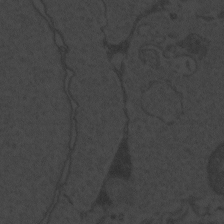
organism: Zebrafish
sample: Macrophage infected with Toxoplasma gondii